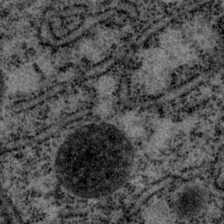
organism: P. pacificus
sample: Pharynx